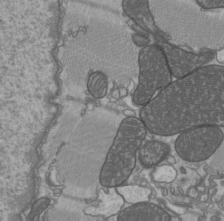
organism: C57BL Mouse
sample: Heart